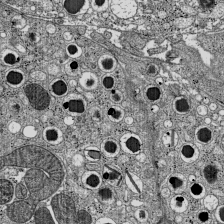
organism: C57BL Mouse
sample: Pancreatic islet